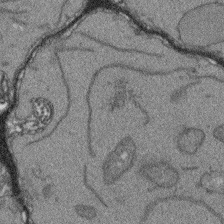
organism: Arabidopsis thaliana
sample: Root tip